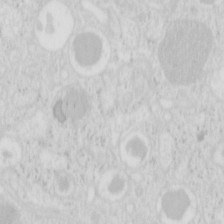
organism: Mouse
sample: Pancreas